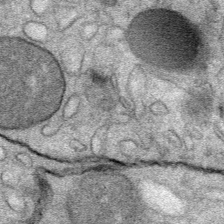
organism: Mouse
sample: Mouse Salivary gland